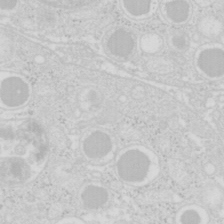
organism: Mouse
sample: Pancreas